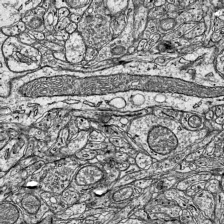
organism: Mouse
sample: Visual Cortex